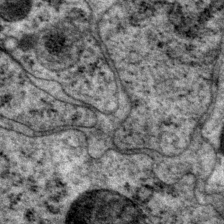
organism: P. pacificus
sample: Pharynx